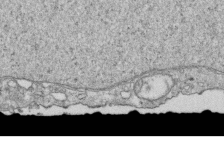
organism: Human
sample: HeLa cell HIV synapse